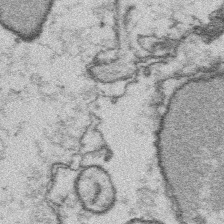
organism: Platynereis dumerilii